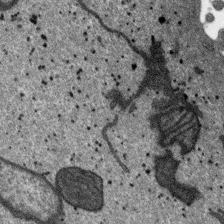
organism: Human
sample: Lung epithelial cells, uninfected (mock) control